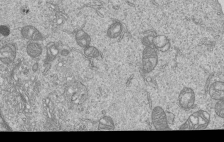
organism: Human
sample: MDA-MB-231 cells